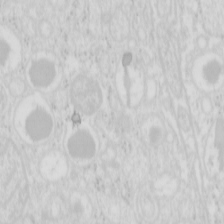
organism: Mouse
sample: Pancreas